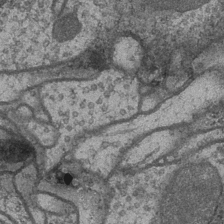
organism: Drosophila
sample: Optic medulla